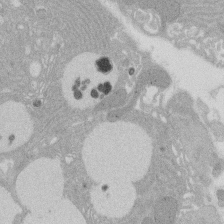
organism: Rat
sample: Salivary granule